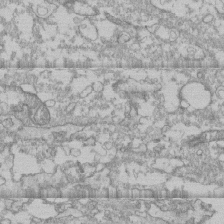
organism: Human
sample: CRL-1474